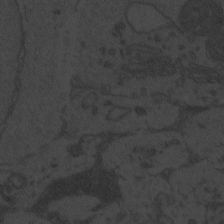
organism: Zebrafish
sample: Macrophage infected with Toxoplasma gondii